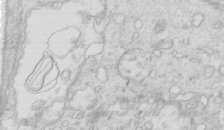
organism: Mouse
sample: Multiciliated cells